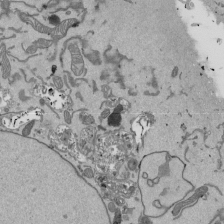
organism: Mouse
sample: ED-1 cell nuclei; centrioles